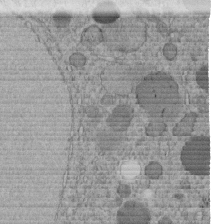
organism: C. elegans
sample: C. elegans embryo early stage